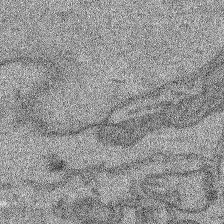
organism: Human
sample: HeLa cells